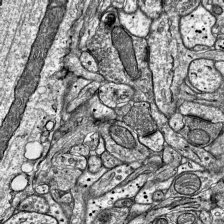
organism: Mouse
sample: Visual Cortex